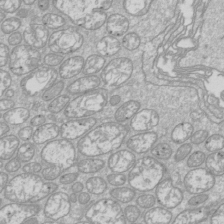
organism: Drosophila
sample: Cell division; meiosis; drosophila spermatocytes